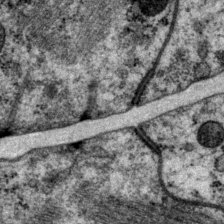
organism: P. pacificus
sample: Pharynx